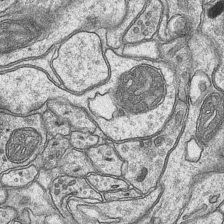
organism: Mouse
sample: CA1 Hippocampus